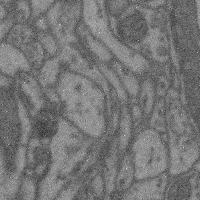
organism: Mouse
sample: Cerebral cortex